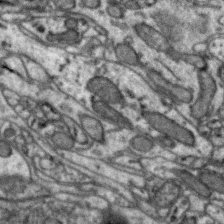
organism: Zebra finch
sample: Brain